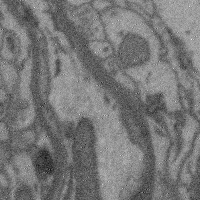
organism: Mouse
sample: Cerebral cortex